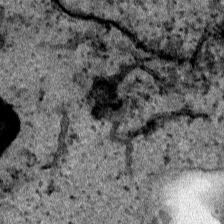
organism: Human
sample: Mitochondria in HCT116 cells